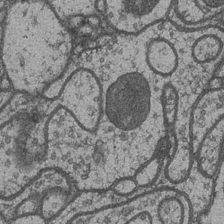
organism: Drosophila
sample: Optic medulla